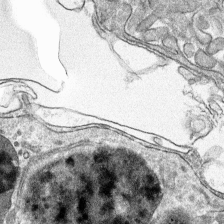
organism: Mouse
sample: Mouse hepatocytes